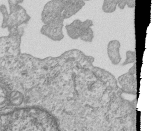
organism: Human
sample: MDA-MB-231 cells